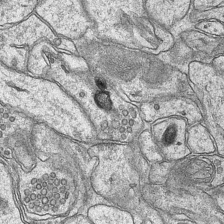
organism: Mouse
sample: CA1 Hippocampus